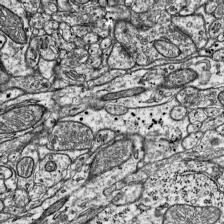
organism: Mouse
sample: Visual Cortex